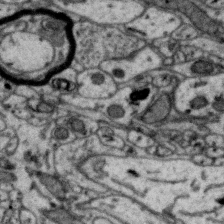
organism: Zebra finch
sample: Brain